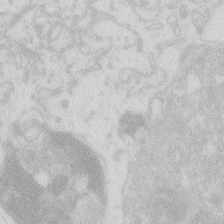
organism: Zebrafish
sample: Macrophage